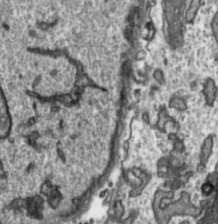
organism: Toxoplasma gondii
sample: Parasites in a vacuole inside a host cell